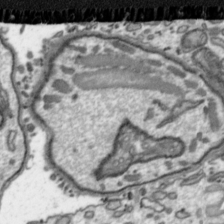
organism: Toxoplasma gondii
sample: Parasites in a vacuole inside a host cell